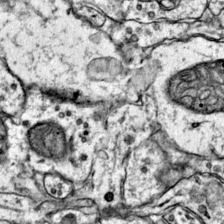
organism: Mouse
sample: Primary visual cortex